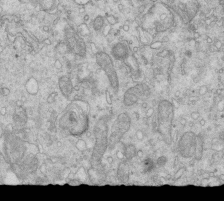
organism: Mouse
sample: Multiciliated cells